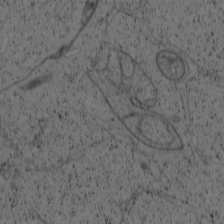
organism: African green monkey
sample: COS-7 cells